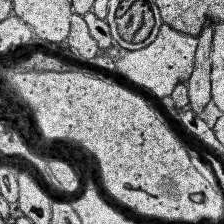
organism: Human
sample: Temporal Lobe